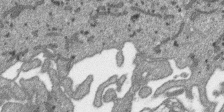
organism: Human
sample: Lung epithelial cells infected with SARS-CoV-2